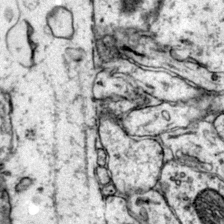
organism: Mouse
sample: Primary visual cortex